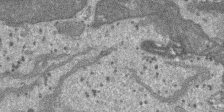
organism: Human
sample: Lung epithelial cells infected with SARS-CoV-2